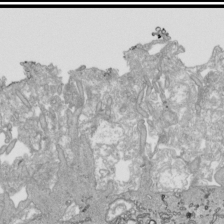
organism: Human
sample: Mitochondria in HCT116 cells